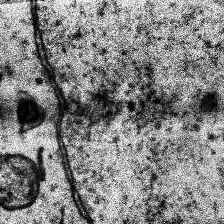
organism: Human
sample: Temporal Lobe